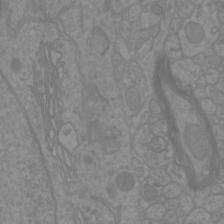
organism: Mouse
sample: Cortical neurons